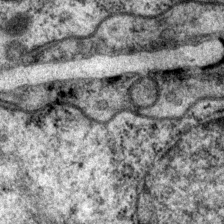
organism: P. pacificus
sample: Pharynx